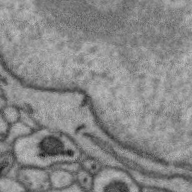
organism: Zebra finch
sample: Brain